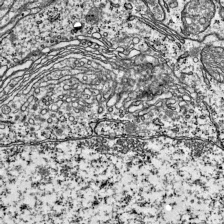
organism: Mouse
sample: Visual Cortex